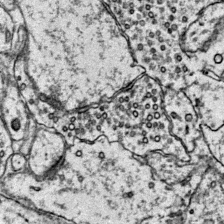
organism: Mouse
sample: Primary visual cortex